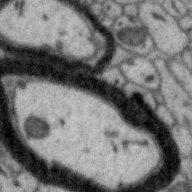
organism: Zebra finch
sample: Brain